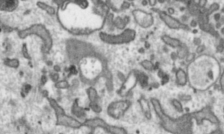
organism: Toxoplasma gondii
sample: Parasites in a vacuole inside a host cell